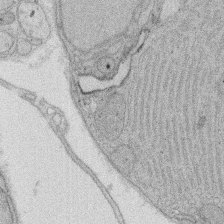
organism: Rat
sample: Salivary granule